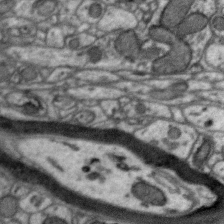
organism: Zebra finch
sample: Brain